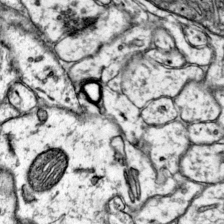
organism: Mouse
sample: Primary visual cortex